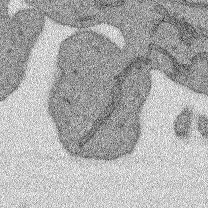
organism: Human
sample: HeLa cells